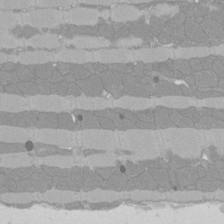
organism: Rat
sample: Left ventricle